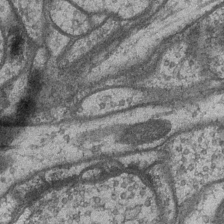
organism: Drosophila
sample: Optic medulla